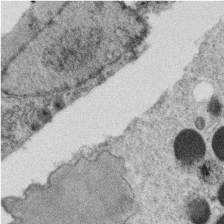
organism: C. elegans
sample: C. elegans oocyte; sperm cells